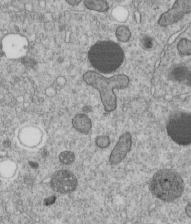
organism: C. elegans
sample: C. elegans embryo early stage